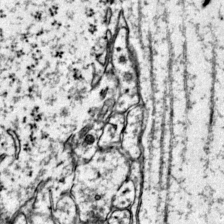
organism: Mouse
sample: Primary visual cortex